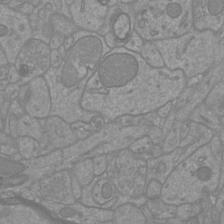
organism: Mouse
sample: Cortical neurons